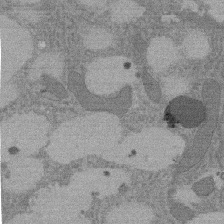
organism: Rat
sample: Salivary granule